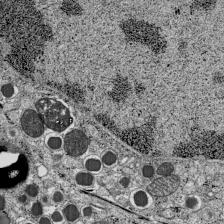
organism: C57BL Mouse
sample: Pancreatic islet